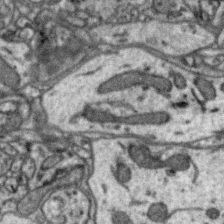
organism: Zebra finch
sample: Brain